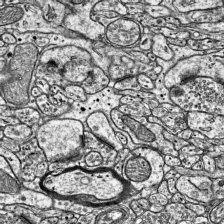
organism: Mouse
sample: Visual Cortex